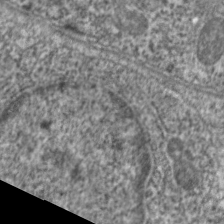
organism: C. elegans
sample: Pharynx